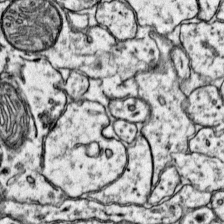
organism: Mouse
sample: Primary visual cortex